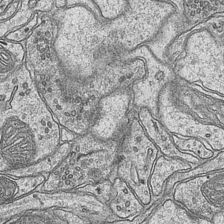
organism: Mouse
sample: CA1 Hippocampus